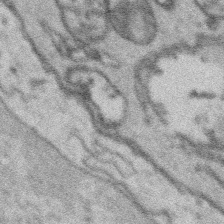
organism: Platynereis dumerilii